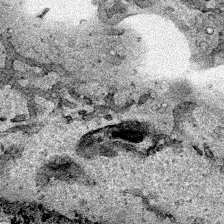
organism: Human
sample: Mitochondria in HCT116 cells